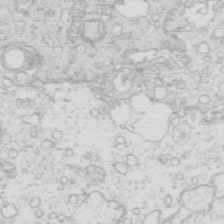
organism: Mouse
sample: Multiciliated cells